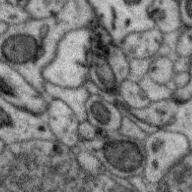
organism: Zebra finch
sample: Brain